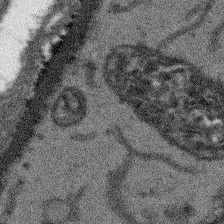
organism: Arabidopsis thaliana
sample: Root tip